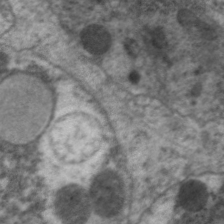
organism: C. elegans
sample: Pharynx